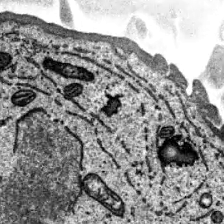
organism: Human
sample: HeLa cells